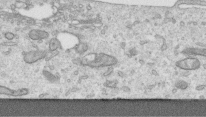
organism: Human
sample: Centriole in RPE cells